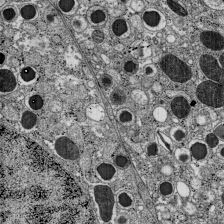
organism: C57BL Mouse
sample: Pancreatic islet